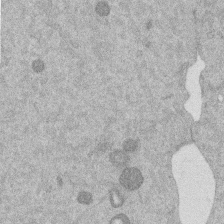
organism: Mouse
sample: Dividing mouse embryo 1 cell stage